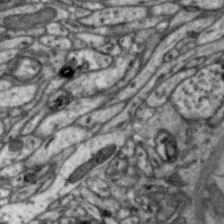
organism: Zebra finch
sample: Brain